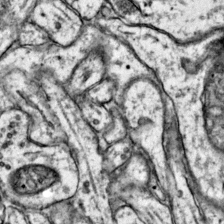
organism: Mouse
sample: Primary visual cortex